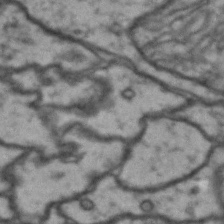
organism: Drosophila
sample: Brain